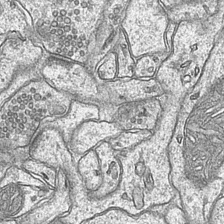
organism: Mouse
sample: CA1 Hippocampus